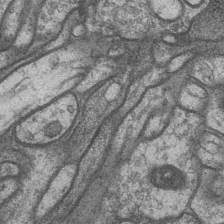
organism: Drosophila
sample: Optic medulla